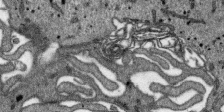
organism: Human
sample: Lung epithelial cells, uninfected (mock) control